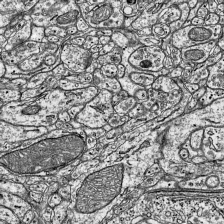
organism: Mouse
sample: Visual Cortex